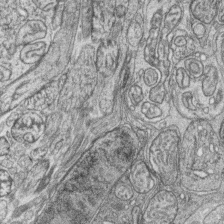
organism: Zebrafish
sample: synaptic ribbons in rod cells and cone cells